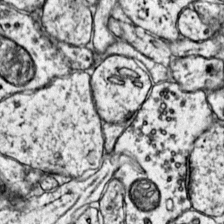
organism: Mouse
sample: Primary visual cortex